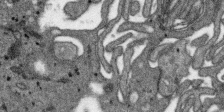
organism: Human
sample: Lung epithelial cells, uninfected (mock) control